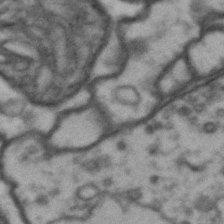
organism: Drosophila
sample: Brain